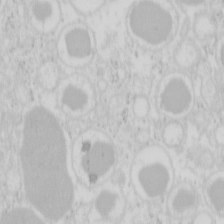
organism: Mouse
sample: Pancreas